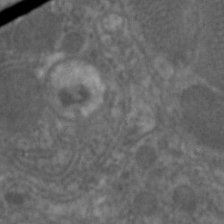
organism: C. elegans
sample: Pharynx